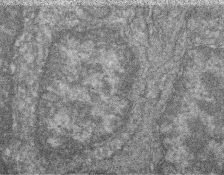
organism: Zebrafish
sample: Cilia; retinal pigment epithelium